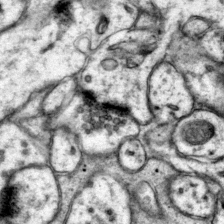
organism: Mouse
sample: Primary visual cortex